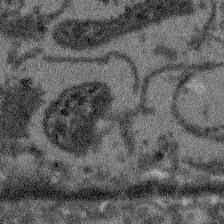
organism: Arabidopsis thaliana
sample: Root tip